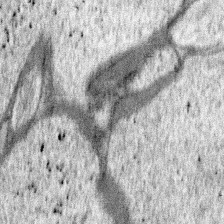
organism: Human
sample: HeLa cells